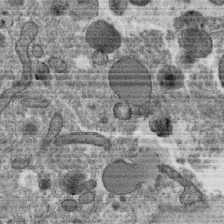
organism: C. elegans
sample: C. elegans oocyte; sperm cells